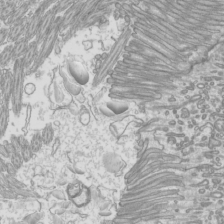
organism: Mouse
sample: Cilia; mouse epididymis